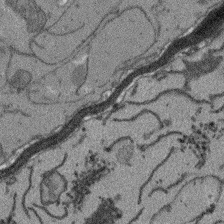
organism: Arabidopsis thaliana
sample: Root tip